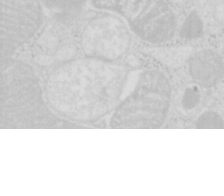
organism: Mouse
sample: Pancreas